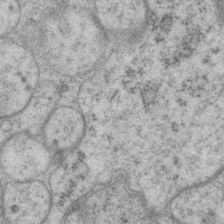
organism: P. pacificus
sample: Pharynx